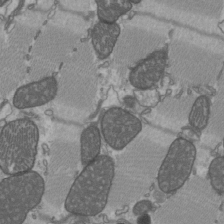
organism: C57BL Mouse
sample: Heart